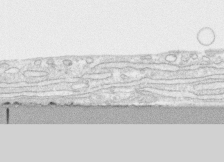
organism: Human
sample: CRL-1474